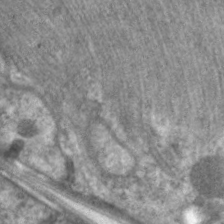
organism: C. elegans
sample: Pharynx